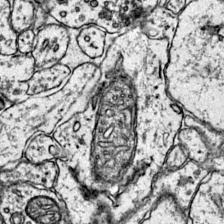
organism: Mouse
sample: Primary visual cortex